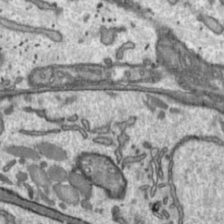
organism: Toxoplasma gondii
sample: Parasites in a vacuole inside a host cell